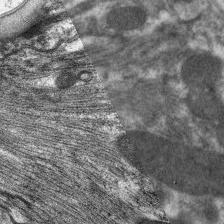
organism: C. elegans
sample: Pharynx